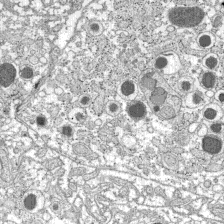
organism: C57BL Mouse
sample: Pancreatic islet